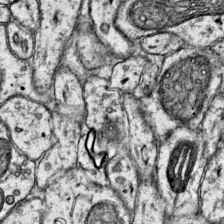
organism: Mouse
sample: Primary visual cortex